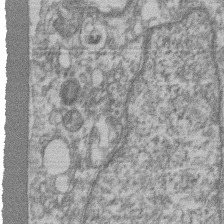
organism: Mouse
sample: T cell stromal cell synapse